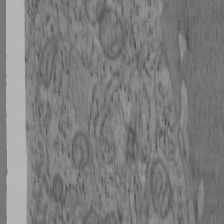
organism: Human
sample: HeLa cells